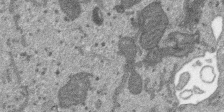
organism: Human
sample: Lung epithelial cells infected with SARS-CoV-2